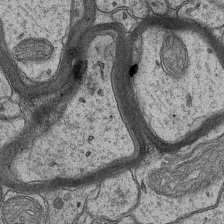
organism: Mouse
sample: CA1 Hippocampus